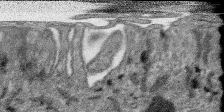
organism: Human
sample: Lung epithelial cells infected with SARS-CoV-2